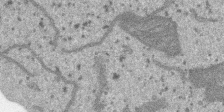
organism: Human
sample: Lung epithelial cells infected with SARS-CoV-2